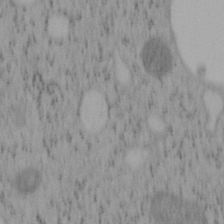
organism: Mouse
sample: OT-I killer T cells with ID8 ovarian cancer cells